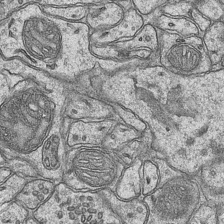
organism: Mouse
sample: CA1 Hippocampus